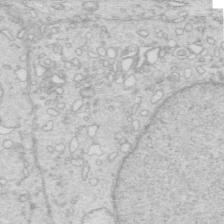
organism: Mouse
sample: Multiciliated cells